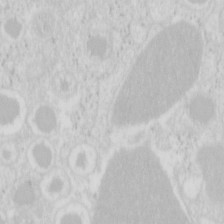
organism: Mouse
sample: Pancreas